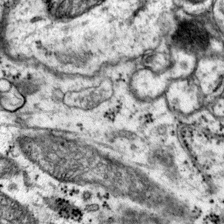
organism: Mouse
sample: Primary visual cortex